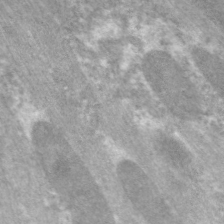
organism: C. elegans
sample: Pharynx